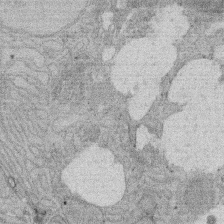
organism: Rat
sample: Salivary granule